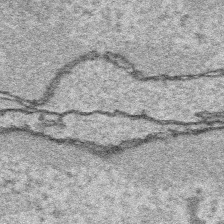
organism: Platynereis dumerilii